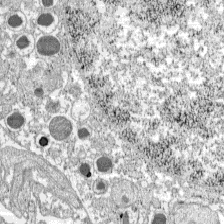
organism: C57BL Mouse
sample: Pancreatic islet